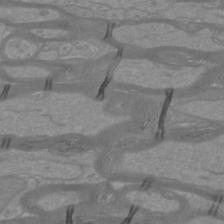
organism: Mouse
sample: Cortical neurons